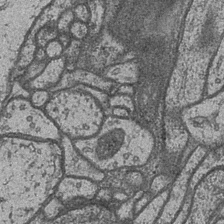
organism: Drosophila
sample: Optic medulla